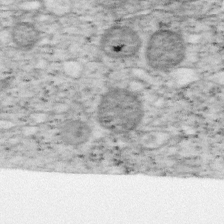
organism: Mouse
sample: OT-I killer T cells with ID8 ovarian cancer cells